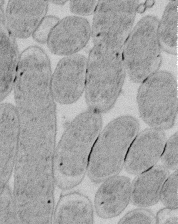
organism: E. coli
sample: Bacterial nucleoid